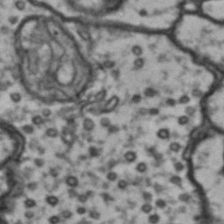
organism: Drosophila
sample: Brain